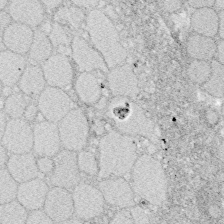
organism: Zebrafish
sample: Whole-Brain